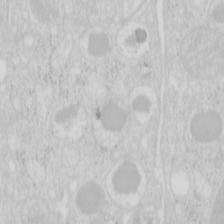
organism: Mouse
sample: Pancreas